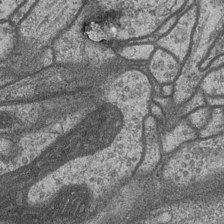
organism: Drosophila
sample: Optic medulla